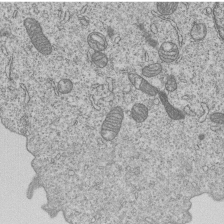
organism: Human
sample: MDA-MB-231 cells